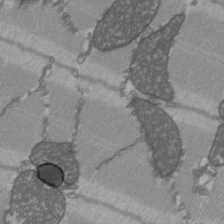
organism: C57BL Mouse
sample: Heart